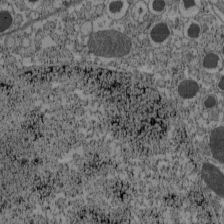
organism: C57BL Mouse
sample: Pancreatic islet